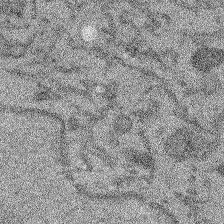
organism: Human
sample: HeLa cells